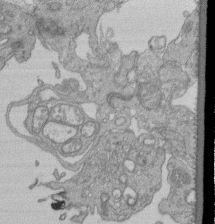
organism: Human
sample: Retinal organoid Rod and Cone cells